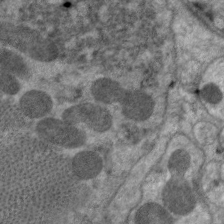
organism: C. elegans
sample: Pharynx